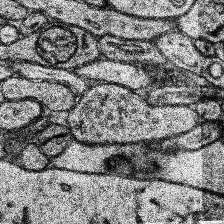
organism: Human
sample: Temporal Lobe